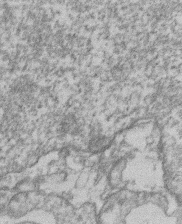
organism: Mouse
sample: T cell stromal cell synapse